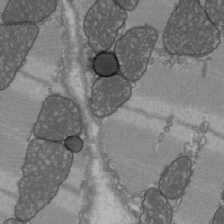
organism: C57BL Mouse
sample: Heart